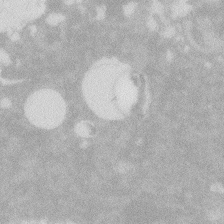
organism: Zebrafish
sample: Macrophage